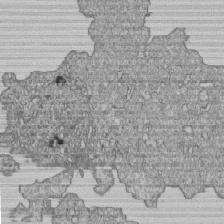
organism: Human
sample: MDA-MB-231 cells